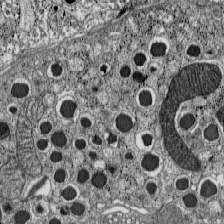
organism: C57BL Mouse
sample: Pancreatic islet